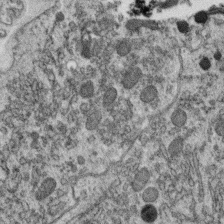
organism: C. elegans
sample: C. elegans oocyte; sperm cells